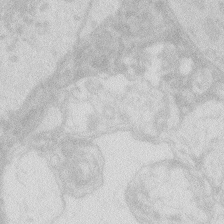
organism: Zebrafish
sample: Macrophage